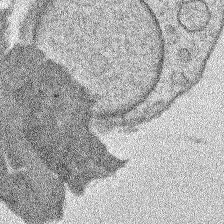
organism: Human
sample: HeLa cells